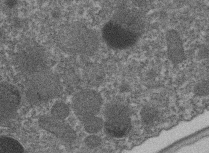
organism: C. elegans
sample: C. elegans embryo early stage